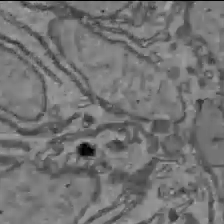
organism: C57BL Mouse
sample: Liver